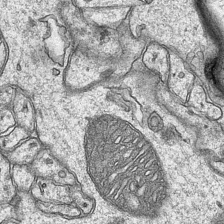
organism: Mouse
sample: CA1 Hippocampus